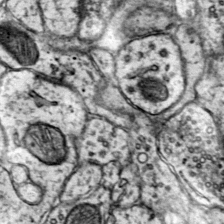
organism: Mouse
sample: Primary visual cortex